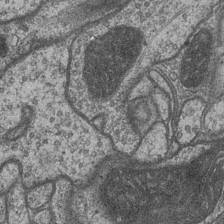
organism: Drosophila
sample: Optic medulla